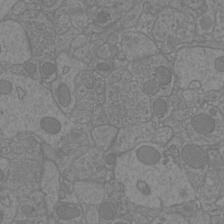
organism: Mouse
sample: Cortical neurons